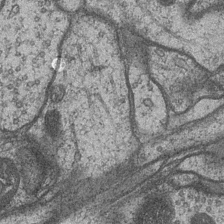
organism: Drosophila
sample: Optic medulla